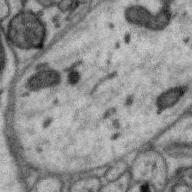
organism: Zebra finch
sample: Brain